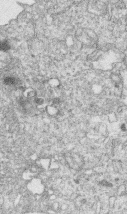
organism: Human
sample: HeLa cell HIV synapse